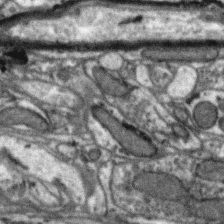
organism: Zebra finch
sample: Brain